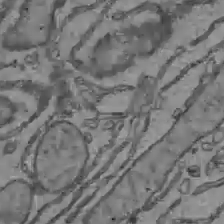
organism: C57BL Mouse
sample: Liver